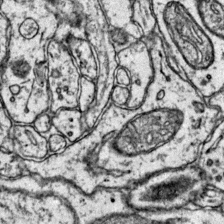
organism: Mouse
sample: Primary visual cortex